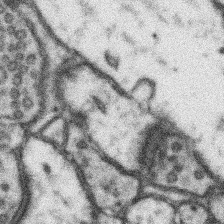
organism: Mouse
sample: Somatosensory cortex neuropil